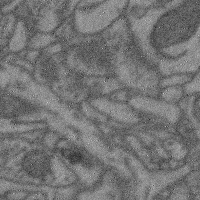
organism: Mouse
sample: Cerebral cortex